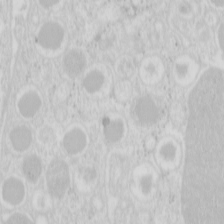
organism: Mouse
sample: Pancreas